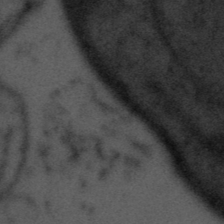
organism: Tuwongella immobilis